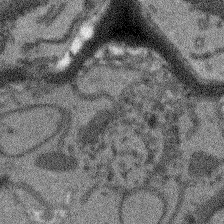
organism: Arabidopsis thaliana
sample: Root tip